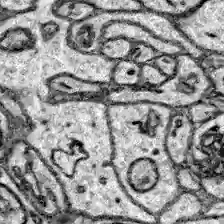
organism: Zebrafish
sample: Brain